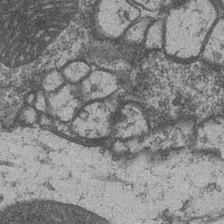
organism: Drosophila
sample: Optic medulla